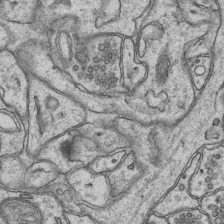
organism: Mouse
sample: CA1 Hippocampus